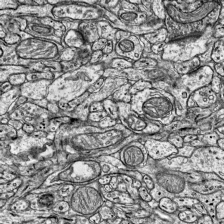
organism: Mouse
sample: Visual Cortex